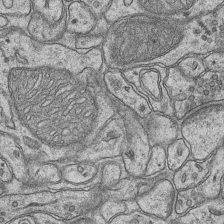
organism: Mouse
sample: CA1 Hippocampus